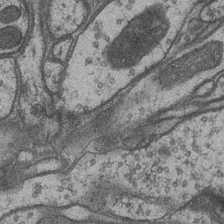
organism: Drosophila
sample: Optic medulla